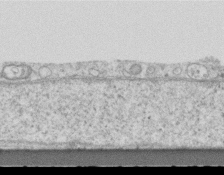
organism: Mouse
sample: Centriole in ependymal cells